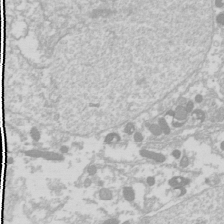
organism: Drosophila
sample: Cell division; meiosis; drosophila spermatocytes